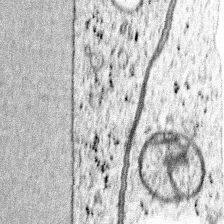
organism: Human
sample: HeLa cells